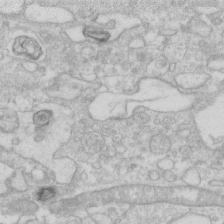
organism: Human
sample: Fibroblast cells